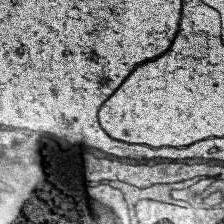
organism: Human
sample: Temporal Lobe